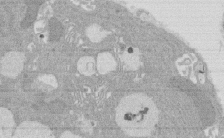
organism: Rat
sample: Salivary granule